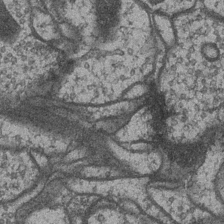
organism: Drosophila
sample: Optic medulla